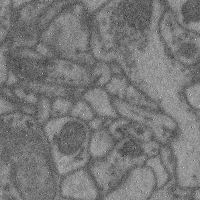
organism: Mouse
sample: Cerebral cortex